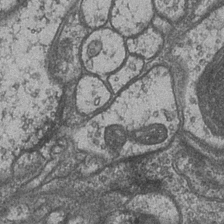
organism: Drosophila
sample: Optic medulla